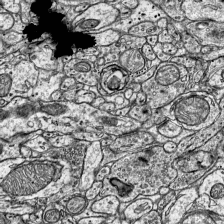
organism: Mouse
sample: Visual Cortex